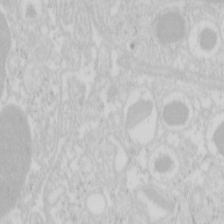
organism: Mouse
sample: Pancreas